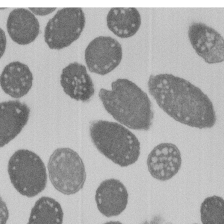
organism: E. coli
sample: Bacterial nucleoid